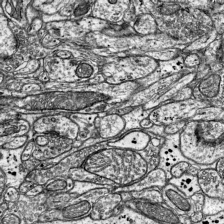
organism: Mouse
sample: Visual Cortex